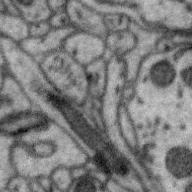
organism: Zebra finch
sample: Brain